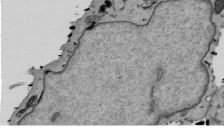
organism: Mouse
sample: ED-1 cell nuclei; centrioles